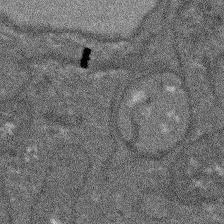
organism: Arabidopsis thaliana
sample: Root tip